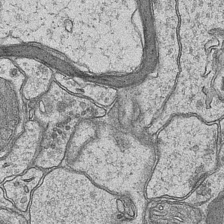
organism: Mouse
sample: CA1 Hippocampus